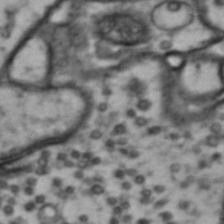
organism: Drosophila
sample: Brain